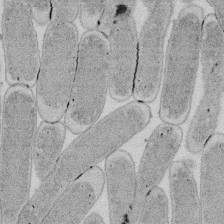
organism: E. coli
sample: Bacterial nucleoid